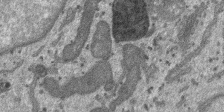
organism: Human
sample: Lung epithelial cells infected with SARS-CoV-2